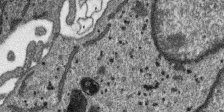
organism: Human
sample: Lung epithelial cells infected with SARS-CoV-2